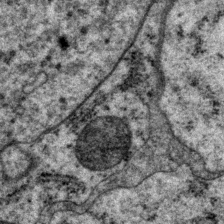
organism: P. pacificus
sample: Pharynx